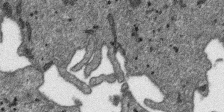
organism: Human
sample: Lung epithelial cells infected with SARS-CoV-2